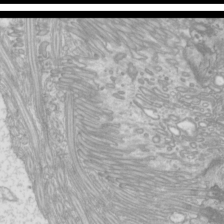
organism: Mouse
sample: Cilia; mouse epididymis